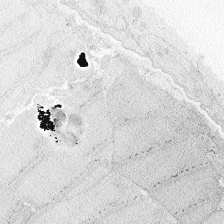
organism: Zebrafish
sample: Whole-Brain